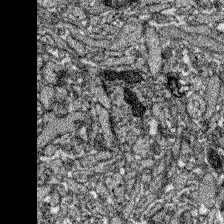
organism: Zebrafish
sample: Larval olfactory bulb